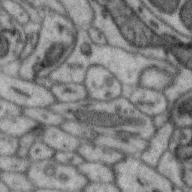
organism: Zebra finch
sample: Brain